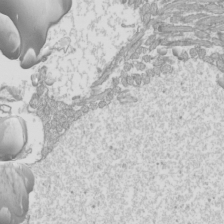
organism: Mouse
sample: Cilia; mouse epididymis